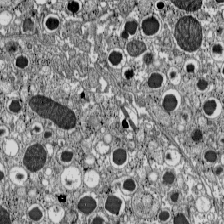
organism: C57BL Mouse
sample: Pancreatic islet